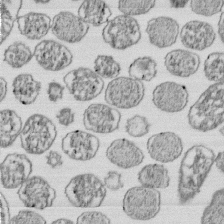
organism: E. coli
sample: Bacterial nucleoid